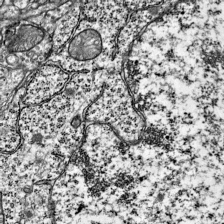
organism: Mouse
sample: Visual Cortex